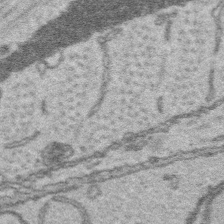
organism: Platynereis dumerilii